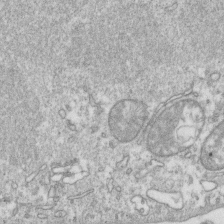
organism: Mouse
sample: Activated OT-1 CD8+ T cells